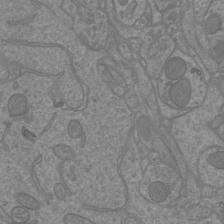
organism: Mouse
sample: Cortical neurons